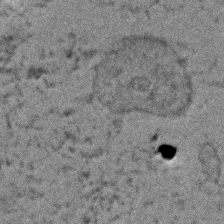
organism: Zebrafish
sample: Zebrafish embryo